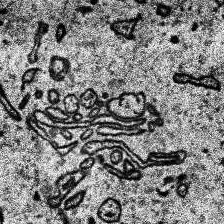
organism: Human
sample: Temporal Lobe